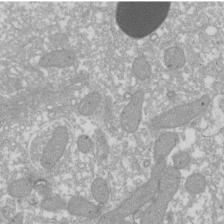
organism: Xenopus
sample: Cilia; centrioles in frog embryo cells